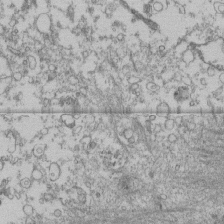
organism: Human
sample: Fibroblast cells